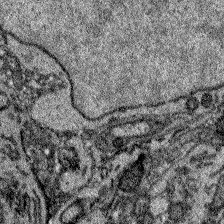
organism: Zebrafish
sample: Larval olfactory bulb